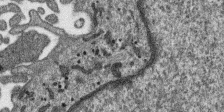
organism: Human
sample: Lung epithelial cells infected with SARS-CoV-2